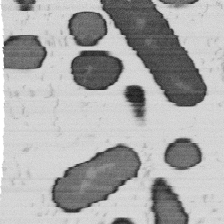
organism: B. subtilis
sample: Bacterial spore